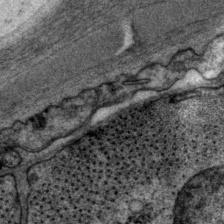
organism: P. pacificus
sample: Pharynx